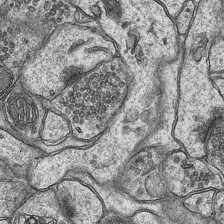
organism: Mouse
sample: CA1 Hippocampus